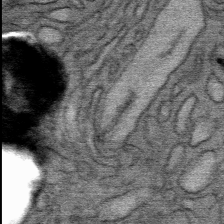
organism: Mouse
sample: Mouse Salivary gland